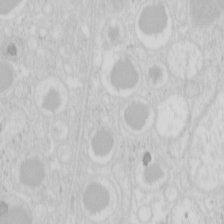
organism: Mouse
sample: Pancreas